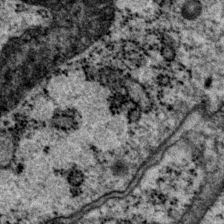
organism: P. pacificus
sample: Pharynx